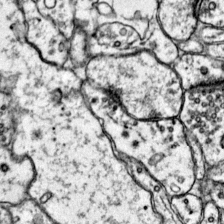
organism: Mouse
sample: Primary visual cortex